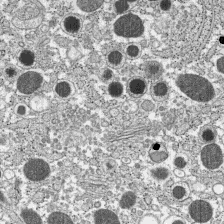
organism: C57BL Mouse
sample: Pancreatic islet